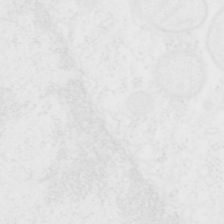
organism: Human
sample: T Cells (Jurkat E6.1)